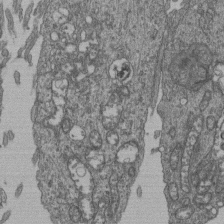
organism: Human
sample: Retinal organoid Rod and Cone cells